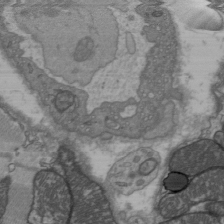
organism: C57BL Mouse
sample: Heart